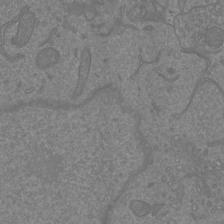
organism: Mouse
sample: Cortical neurons